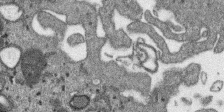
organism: Human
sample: Lung epithelial cells infected with SARS-CoV-2